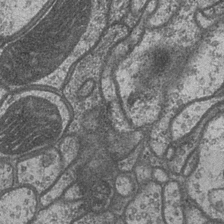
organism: Drosophila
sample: Optic medulla